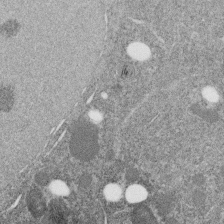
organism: C. elegans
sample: C. elegans embryo early stage